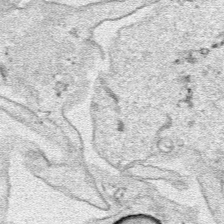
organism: Human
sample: Mitochondria in HCT116 cells